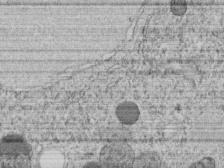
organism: C. elegans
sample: C. elegans embryo early stage